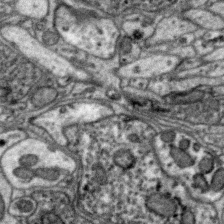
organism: Zebra finch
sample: Brain